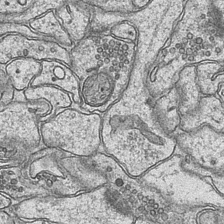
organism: Mouse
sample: CA1 Hippocampus